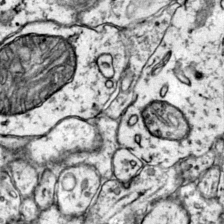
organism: Mouse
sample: Primary visual cortex